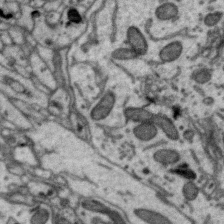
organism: Zebra finch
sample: Brain